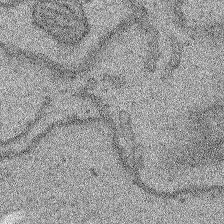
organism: Human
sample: HeLa cells